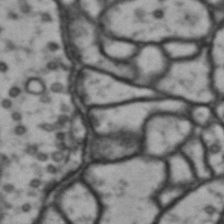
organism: Drosophila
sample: Brain